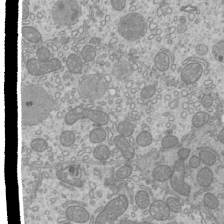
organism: Mouse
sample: Cilia; mouse epididymis